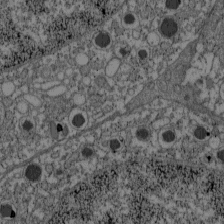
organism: C57BL Mouse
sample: Pancreatic islet